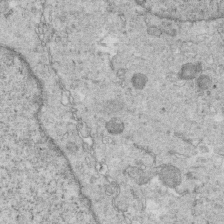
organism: Mouse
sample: Multiciliated cells